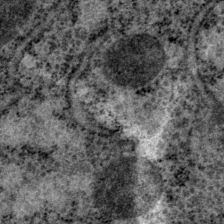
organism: P. pacificus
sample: Pharynx